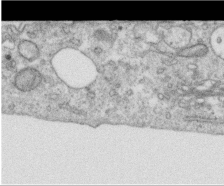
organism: Human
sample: Centriole in RPE cells